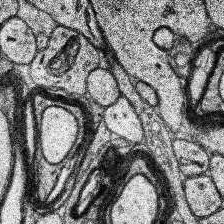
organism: Human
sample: Temporal Lobe